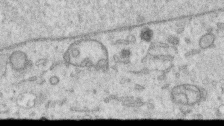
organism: Human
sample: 1205lu cells